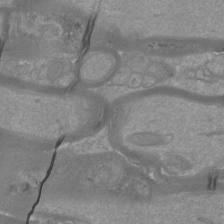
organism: Mouse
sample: Cortical neurons